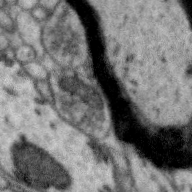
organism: Zebra finch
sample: Brain